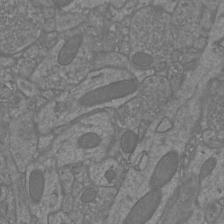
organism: Mouse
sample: Cortical neurons